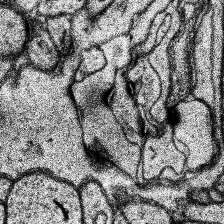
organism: Human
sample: Temporal Lobe